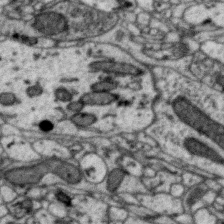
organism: Zebra finch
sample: Brain